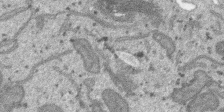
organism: Human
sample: Lung epithelial cells infected with SARS-CoV-2